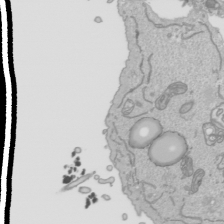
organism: Human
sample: Mitochondria in HCT116 cells